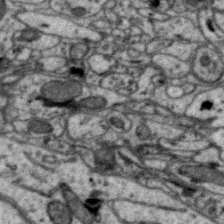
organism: Zebra finch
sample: Brain